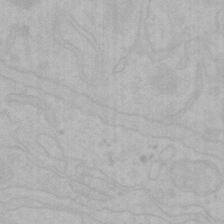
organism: Mouse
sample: Choroid plexus